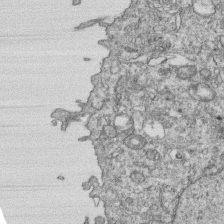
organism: Human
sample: HeLa cell HIV synapse